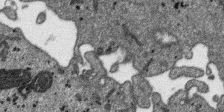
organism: Human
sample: Lung epithelial cells infected with SARS-CoV-2